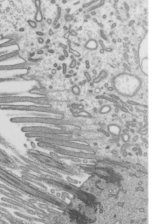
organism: Mouse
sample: Mouse epididymis efferent ductule cilia